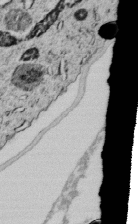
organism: C. elegans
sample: C. elegans embryo early stage